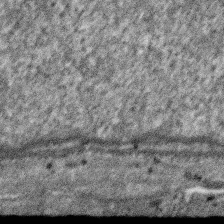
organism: Human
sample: Lung epithelial cells infected with SARS-CoV-2